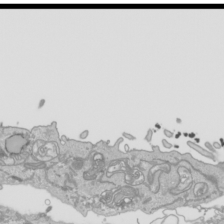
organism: Human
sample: Mitochondria in HCT116 cells